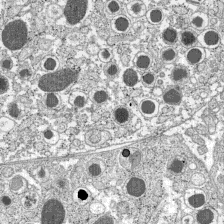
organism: C57BL Mouse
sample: Pancreatic islet